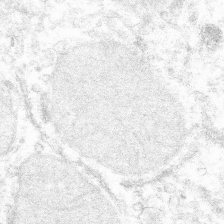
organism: Mouse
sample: Mouse hepatocytes